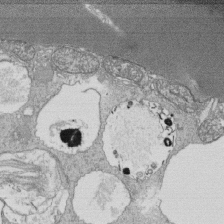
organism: Tetrahymena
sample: Cilia in tetrahymena